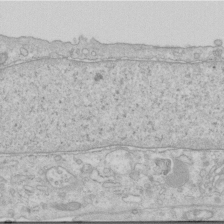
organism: Human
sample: Centriole in RPE cells